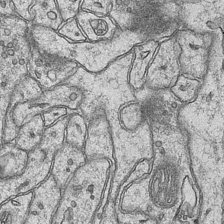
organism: Mouse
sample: CA1 Hippocampus